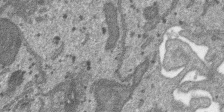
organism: Human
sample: Lung epithelial cells infected with SARS-CoV-2